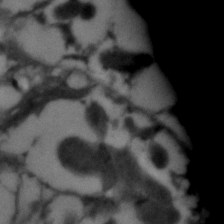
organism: C. elegans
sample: C. elegans embryo